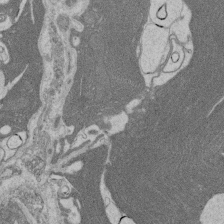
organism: Rat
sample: Salivary granule